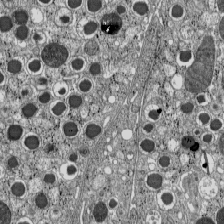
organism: C57BL Mouse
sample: Pancreatic islet